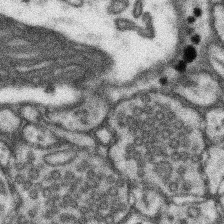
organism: Mouse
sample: Somatosensory cortex neuropil